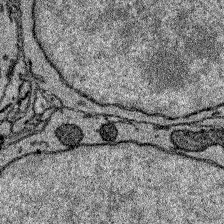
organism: Zebrafish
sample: Larval olfactory bulb